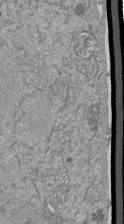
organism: Mouse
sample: ED-1 cell nuclei; centrioles